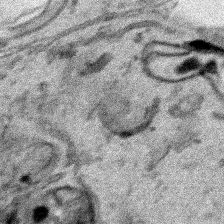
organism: Human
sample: Mitochondria in HCT116 cells